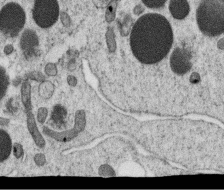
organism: C. elegans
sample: C. elegans oocyte; sperm cells